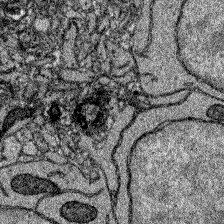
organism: Zebrafish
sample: Larval olfactory bulb